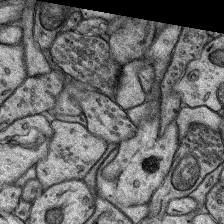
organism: Rat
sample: Hippocampus